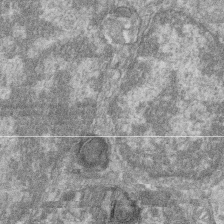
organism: Zebrafish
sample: Cilia; retinal pigment epithelium